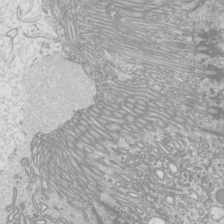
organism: Mouse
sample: Cilia; mouse epididymis